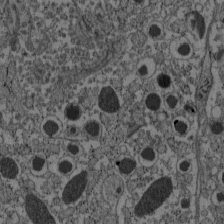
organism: C57BL Mouse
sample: Pancreatic islet